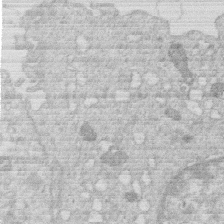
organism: Human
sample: Macrophage cells